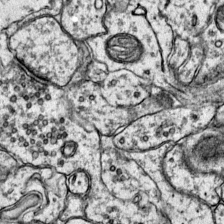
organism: Mouse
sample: Primary visual cortex